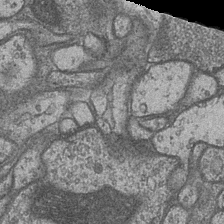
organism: Drosophila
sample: Optic medulla